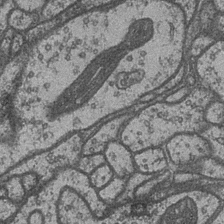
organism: Drosophila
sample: Optic medulla